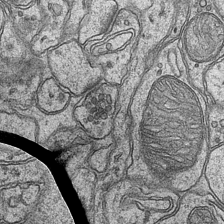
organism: Mouse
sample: CA1 Hippocampus